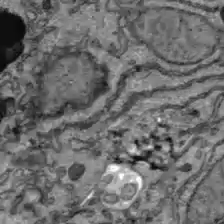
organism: C57BL Mouse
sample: Liver